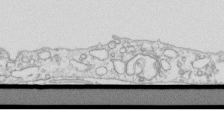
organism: Mouse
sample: Macrophages